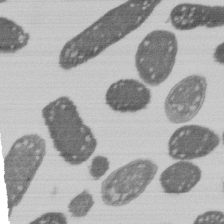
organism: E. coli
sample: Bacterial nucleoid